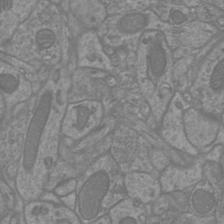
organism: Mouse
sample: Cortical neurons